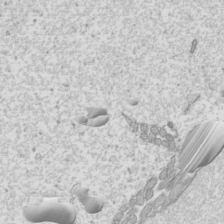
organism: Mouse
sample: Cilia; mouse epididymis